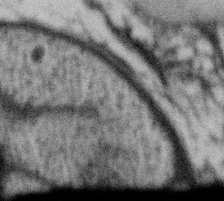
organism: Gemmata obscuriglobus